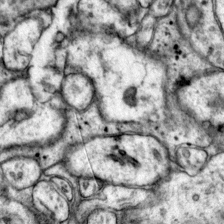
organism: Mouse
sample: Primary visual cortex